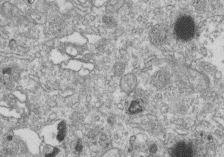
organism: Human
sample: HeLa cell HIV synapse